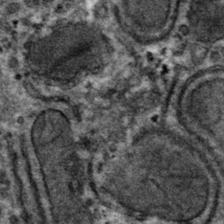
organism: Mouse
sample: Mouse hepatocytes